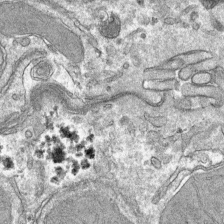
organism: Mouse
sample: Mouse hepatocytes